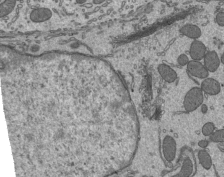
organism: Mouse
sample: Mouse epididymis efferent ductule cilia